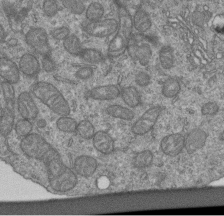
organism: Human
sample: Retinal organoid Rod and Cone cells